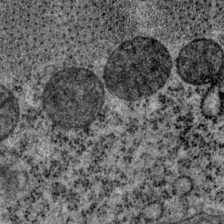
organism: P. pacificus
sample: Pharynx